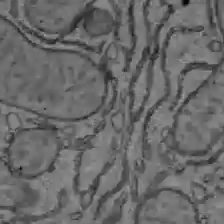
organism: C57BL Mouse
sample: Liver